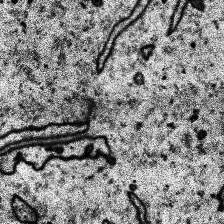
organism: Human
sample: Temporal Lobe